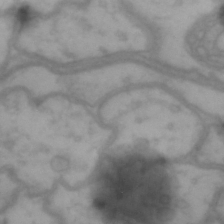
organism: Drosophila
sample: Brain